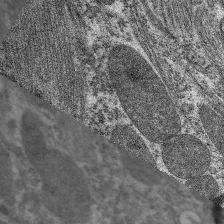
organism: C. elegans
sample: Pharynx